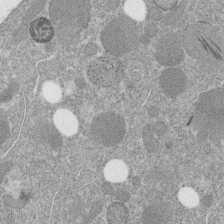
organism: C. elegans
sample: C. elegans embryo early stage